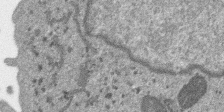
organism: Human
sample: Lung epithelial cells infected with SARS-CoV-2